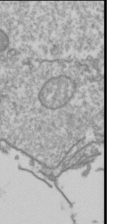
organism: Drosophila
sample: Cell division; meiosis; drosophila spermatocytes